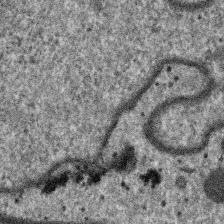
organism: Human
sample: Lung epithelial cells infected with SARS-CoV-2